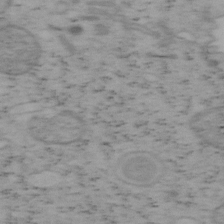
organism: Mouse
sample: OT-I killer T cells with ID8 ovarian cancer cells